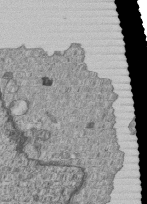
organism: Human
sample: MDA-MB-231 cells